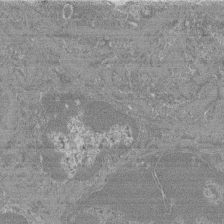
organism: Mouse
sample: Glomerulus